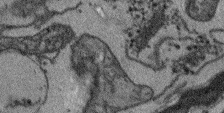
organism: Arabidopsis thaliana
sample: Root tip